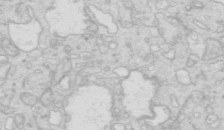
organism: Mouse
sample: Multiciliated cells